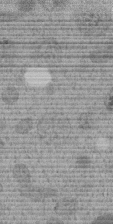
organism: C. elegans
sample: C. elegans embryo early stage